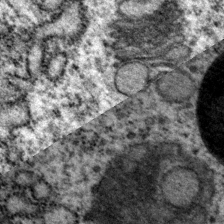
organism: P. pacificus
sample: Pharynx